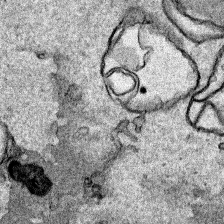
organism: Human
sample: Mitochondria in HCT116 cells